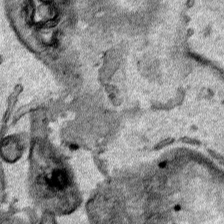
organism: Human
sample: Mitochondria in HCT116 cells